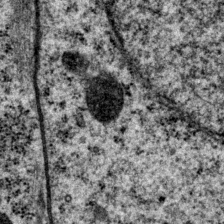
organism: P. pacificus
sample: Pharynx